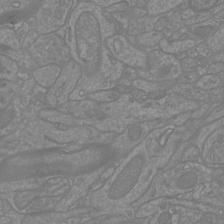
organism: Mouse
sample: Cortical neurons